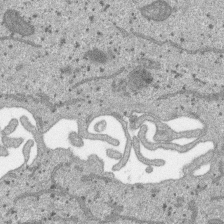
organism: Human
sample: Lung epithelial cells infected with SARS-CoV-2